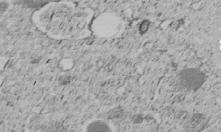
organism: C. elegans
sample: C. elegans embryo early stage